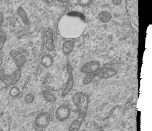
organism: Human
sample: MDA-MB-231 cells